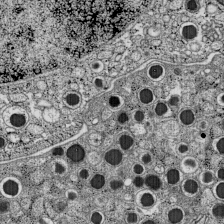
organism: C57BL Mouse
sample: Pancreatic islet